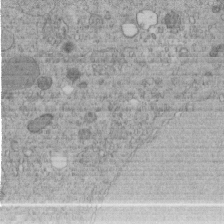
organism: C. elegans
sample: C. elegans embryo early stage